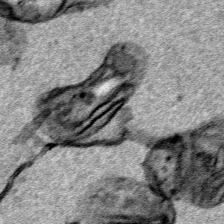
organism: Human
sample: Mitochondria in HCT116 cells